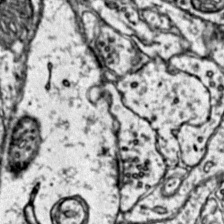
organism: Mouse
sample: Primary visual cortex